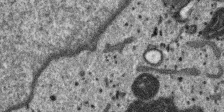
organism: Human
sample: Lung epithelial cells infected with SARS-CoV-2